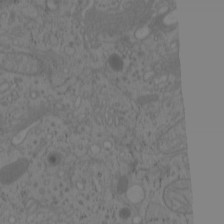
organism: Human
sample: HeLa cells